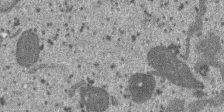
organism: Human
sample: Lung epithelial cells infected with SARS-CoV-2